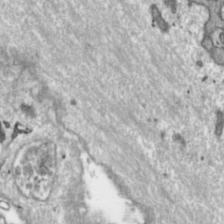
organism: Toxoplasma gondii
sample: Parasites in a vacuole inside a host cell